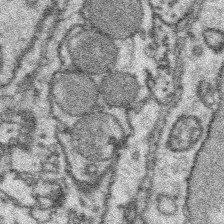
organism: Platynereis dumerilii